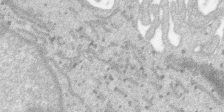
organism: Human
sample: Lung epithelial cells infected with SARS-CoV-2